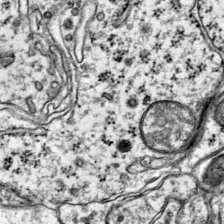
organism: Mouse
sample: Primary visual cortex